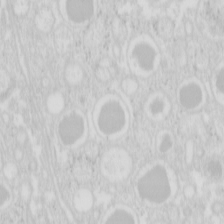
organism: Mouse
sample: Pancreas